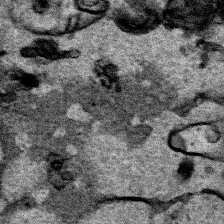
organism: Human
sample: Mitochondria in HCT116 cells